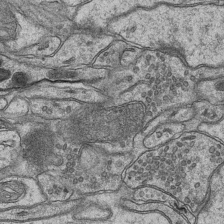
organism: Mouse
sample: CA1 Hippocampus